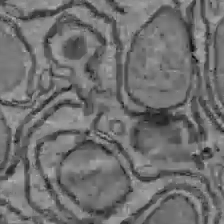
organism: C57BL Mouse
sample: Liver